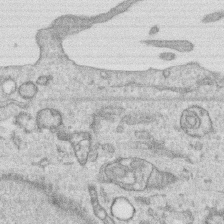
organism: Human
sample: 1205lu cells